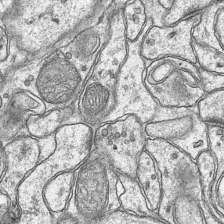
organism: Mouse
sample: CA1 Hippocampus